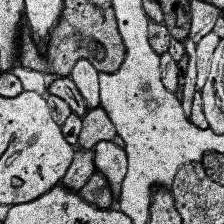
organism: Human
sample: Temporal Lobe